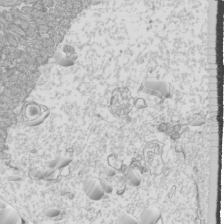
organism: Mouse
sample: Cilia; mouse epididymis